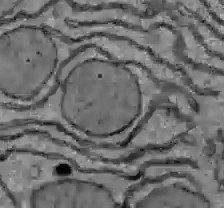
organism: C57BL Mouse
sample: Liver